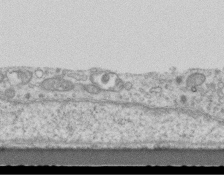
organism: Mouse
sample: Centriole in ependymal cells